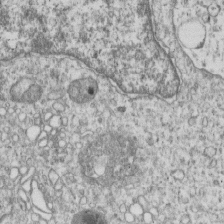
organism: Human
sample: MDA-MB-231 cells